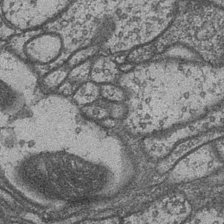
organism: Drosophila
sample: Optic medulla